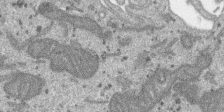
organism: Human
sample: Lung epithelial cells infected with SARS-CoV-2